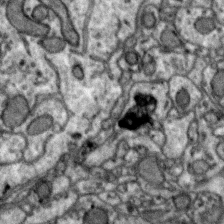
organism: Zebra finch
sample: Brain